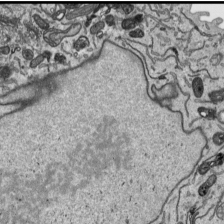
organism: Human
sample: Mitochondria in HCT116 cells